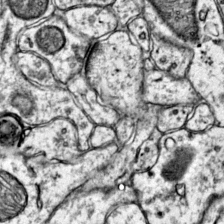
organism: Mouse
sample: Primary visual cortex